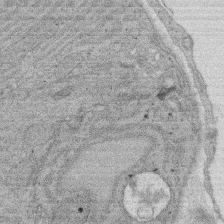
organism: Rat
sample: Salivary granule